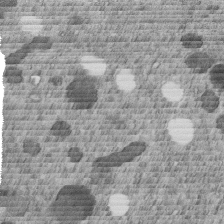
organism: C. elegans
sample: C. elegans embryo early stage